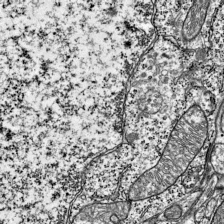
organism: Mouse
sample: Visual Cortex